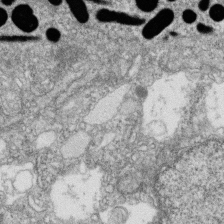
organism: Zebrafish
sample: Cilia; retinal pigment epithelium